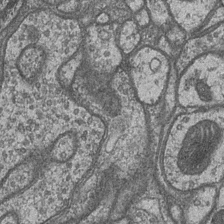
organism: Drosophila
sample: Optic medulla